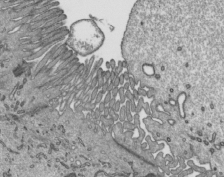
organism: Mouse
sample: Mouse epididymis efferent ductule cilia